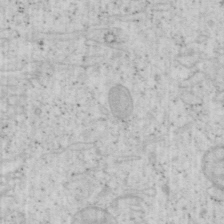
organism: Human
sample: HeLa cells